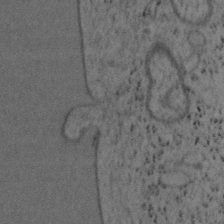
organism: Human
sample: HeLa cells